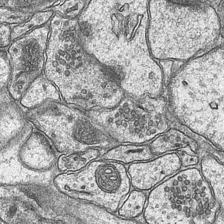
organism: Mouse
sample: CA1 Hippocampus